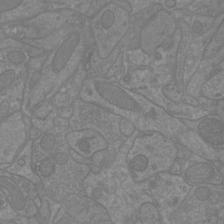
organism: Mouse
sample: Cortical neurons